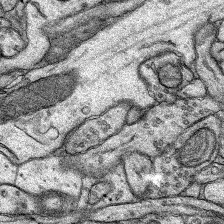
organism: Rat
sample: Hippocampus